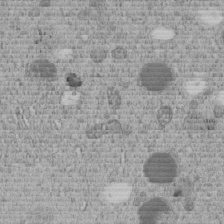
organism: C. elegans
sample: C. elegans embryo early stage